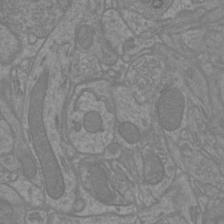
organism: Mouse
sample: Cortical neurons